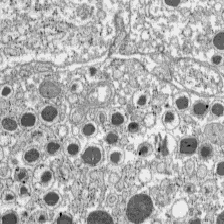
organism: C57BL Mouse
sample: Pancreatic islet